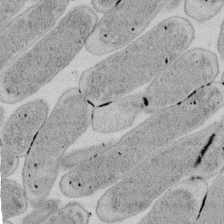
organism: E. coli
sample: Bacterial nucleoid